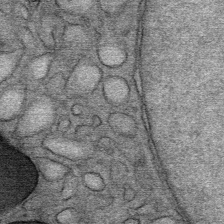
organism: Mouse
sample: Mouse Salivary gland